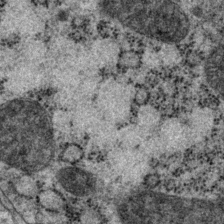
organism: P. pacificus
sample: Pharynx